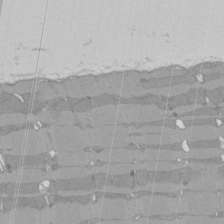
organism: Rat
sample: Left ventricle